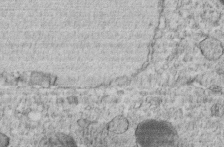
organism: C. elegans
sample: C. elegans embryo early stage